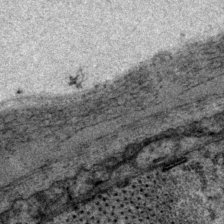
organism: P. pacificus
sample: Pharynx